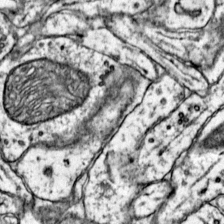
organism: Mouse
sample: Primary visual cortex